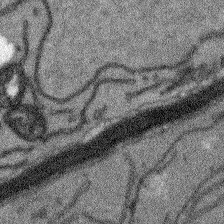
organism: Arabidopsis thaliana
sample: Root tip